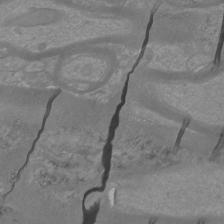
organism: Mouse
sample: Cortical neurons